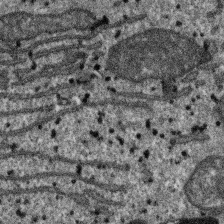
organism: Human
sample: Lung epithelial cells infected with SARS-CoV-2